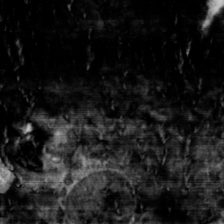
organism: Toxoplasma gondii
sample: Parasites in a vacuole inside a host cell